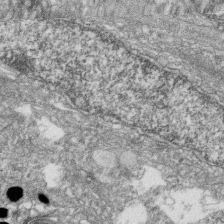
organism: Zebrafish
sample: Cilia; retinal pigment epithelium